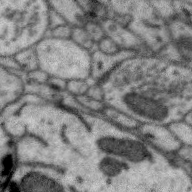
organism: Zebra finch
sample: Brain